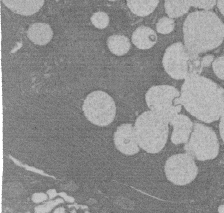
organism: Rat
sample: Salivary granule